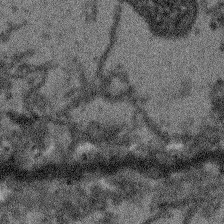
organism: Arabidopsis thaliana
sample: Root tip